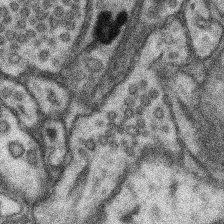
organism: Mouse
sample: Somatosensory cortex neuropil